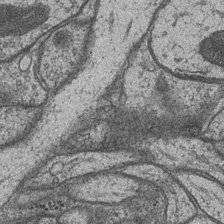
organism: Drosophila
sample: Optic medulla